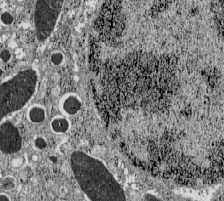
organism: C57BL Mouse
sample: Pancreatic islet